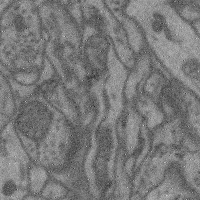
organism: Mouse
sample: Cerebral cortex